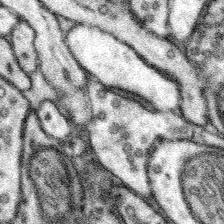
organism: Mouse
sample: Somatosensory cortex neuropil